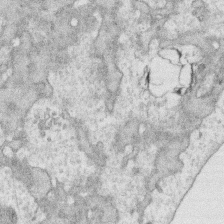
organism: Human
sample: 1205lu cells